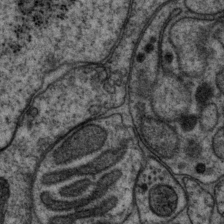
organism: P. pacificus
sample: Pharynx